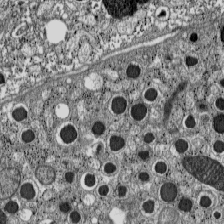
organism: C57BL Mouse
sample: Pancreatic islet